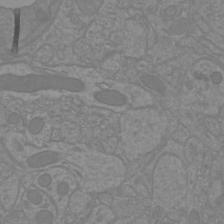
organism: Mouse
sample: Cortical neurons